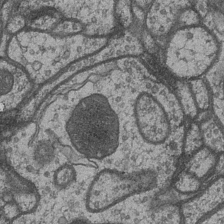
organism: Drosophila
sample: Optic medulla